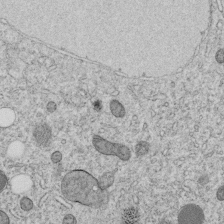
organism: C. elegans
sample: C. elegans embryo early stage